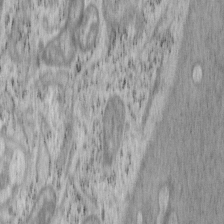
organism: Human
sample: HeLa cells